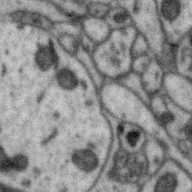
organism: Zebra finch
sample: Brain